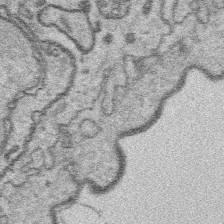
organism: Platynereis dumerilii